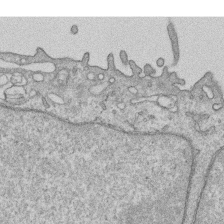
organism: Human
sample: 1205lu cells